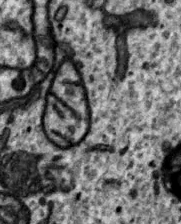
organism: Human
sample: HeLa cells